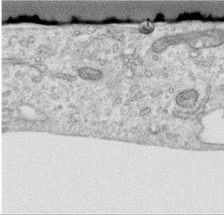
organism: Human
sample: Centriole in RPE cells